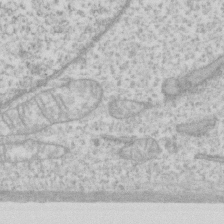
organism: Human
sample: Fibroblast cells